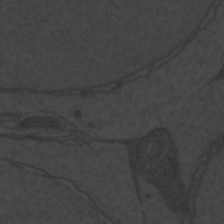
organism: Zebrafish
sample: Macrophage infected with Toxoplasma gondii